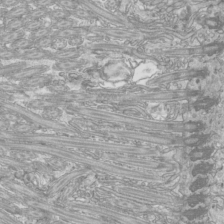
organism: Mouse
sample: Cilia; mouse epididymis